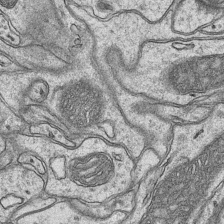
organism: Mouse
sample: CA1 Hippocampus